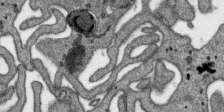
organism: Human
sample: Lung epithelial cells, uninfected (mock) control